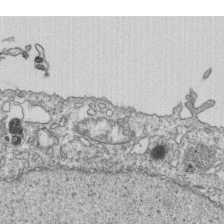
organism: Human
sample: HeLa cell HIV synapse